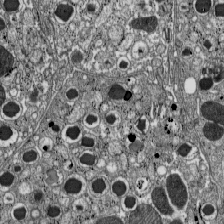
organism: C57BL Mouse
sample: Pancreatic islet